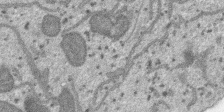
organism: Human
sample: Lung epithelial cells infected with SARS-CoV-2